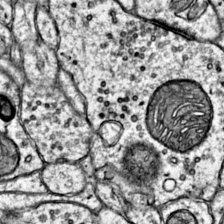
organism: Mouse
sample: Primary visual cortex